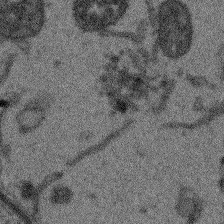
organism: Arabidopsis thaliana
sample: Root tip